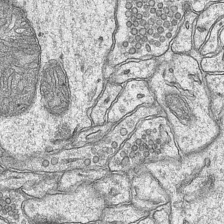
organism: Mouse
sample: CA1 Hippocampus